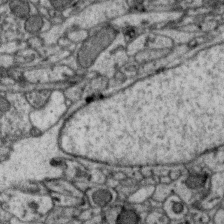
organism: Zebra finch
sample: Brain